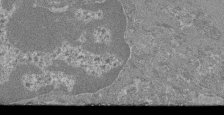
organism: Mouse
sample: Glomerulus